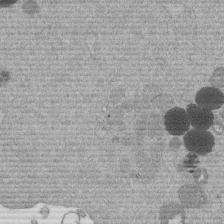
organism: Mouse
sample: Dividing mouse embryo 1 cell stage